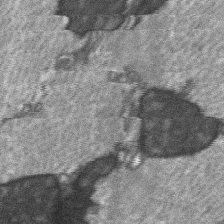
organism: C57BL Mouse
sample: Soleus